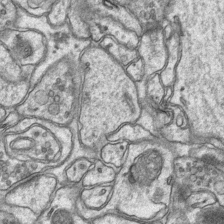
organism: Mouse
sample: CA1 Hippocampus